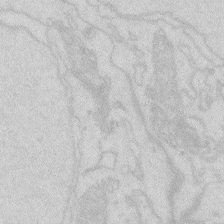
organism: Zebrafish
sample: Macrophage